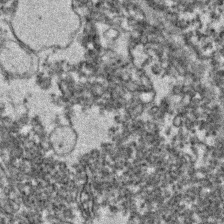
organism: Zebrafish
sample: Zebrafish embryo